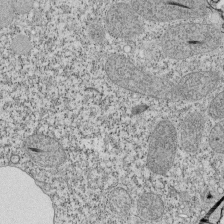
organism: Tetrahymena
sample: Cilia in tetrahymena